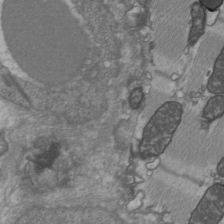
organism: C57BL Mouse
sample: Heart